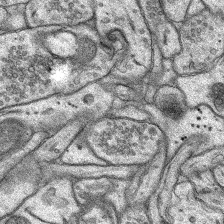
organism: Rat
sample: Hippocampus